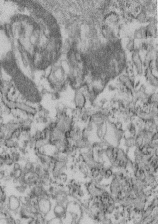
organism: Mouse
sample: Cilia; retinal pigment epithelium